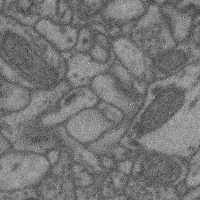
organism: Mouse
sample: Cerebral cortex